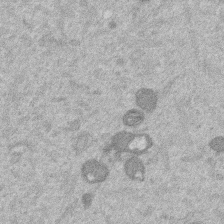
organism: Mouse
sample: Dividing mouse embryo 1 cell stage